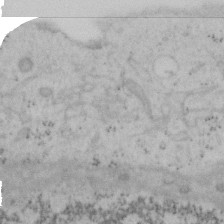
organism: Human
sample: HeLa cells